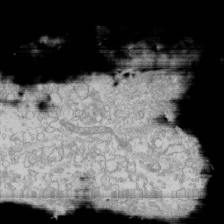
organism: Human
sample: CRL-1474